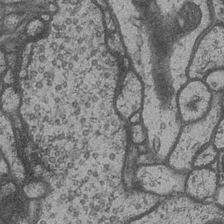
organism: Drosophila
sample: Optic medulla